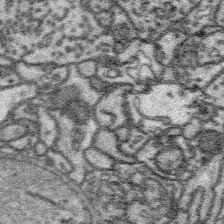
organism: Platynereis dumerilii